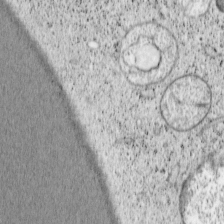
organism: African green monkey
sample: COS-7 cells